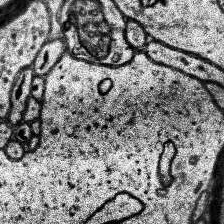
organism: Human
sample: Temporal Lobe